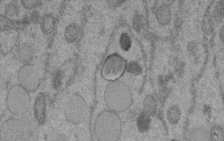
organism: C. elegans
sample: C. elegans embryo early stage